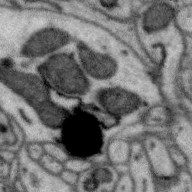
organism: Zebra finch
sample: Brain